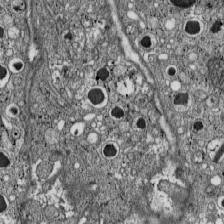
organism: C57BL Mouse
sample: Pancreatic islet